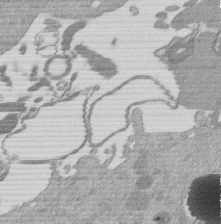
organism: Mouse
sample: Dividing mouse embryo 1 cell stage